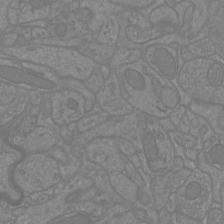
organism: Mouse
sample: Cortical neurons